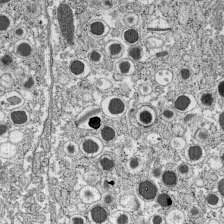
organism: C57BL Mouse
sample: Pancreatic islet